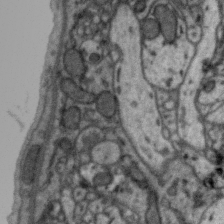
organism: Zebra finch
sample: Brain